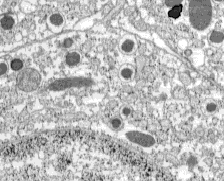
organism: C57BL Mouse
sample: Pancreatic islet